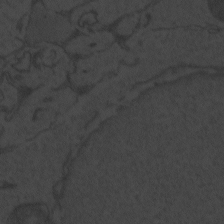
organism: Zebrafish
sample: Macrophage infected with Toxoplasma gondii